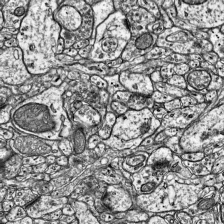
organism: Mouse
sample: Visual Cortex